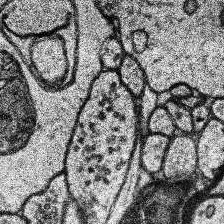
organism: Human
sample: Temporal Lobe